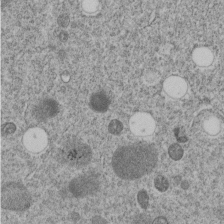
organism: C. elegans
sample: C. elegans embryo early stage